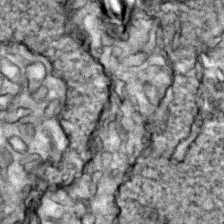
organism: Zebrafish